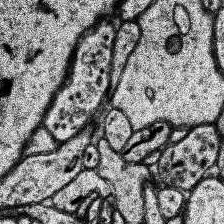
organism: Human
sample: Temporal Lobe